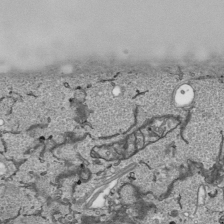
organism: Human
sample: Mitochondria in HCT116 cells